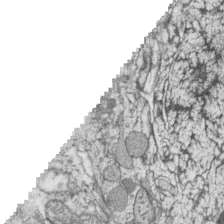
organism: Zebrafish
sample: synaptic ribbons in rod cells and cone cells